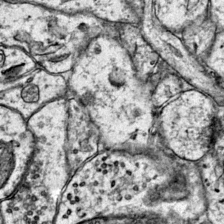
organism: Mouse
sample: Primary visual cortex